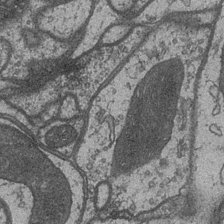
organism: Drosophila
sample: Optic medulla